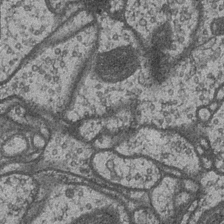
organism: Drosophila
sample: Optic medulla